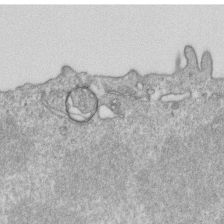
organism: Mouse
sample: Activated OT-1 CD8+ T cells